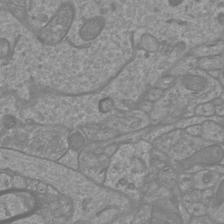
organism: Mouse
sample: Cortical neurons